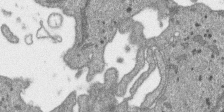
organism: Human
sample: Lung epithelial cells infected with SARS-CoV-2